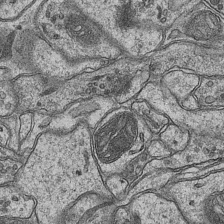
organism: Mouse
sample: CA1 Hippocampus